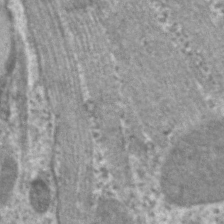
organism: C. elegans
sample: Pharynx